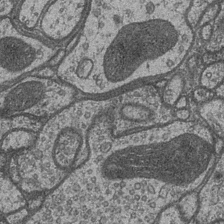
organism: Drosophila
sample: Optic medulla